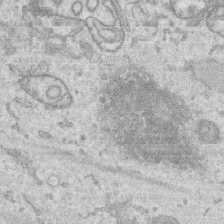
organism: Human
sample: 1205lu cells